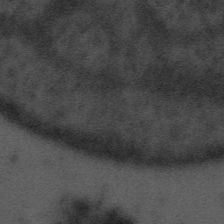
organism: Tuwongella immobilis